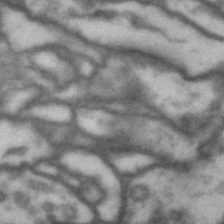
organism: Drosophila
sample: Brain